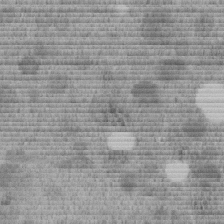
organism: C. elegans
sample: C. elegans embryo early stage